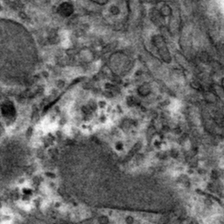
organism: Mouse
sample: Mouse hepatocytes